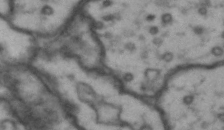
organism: Drosophila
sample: Brain